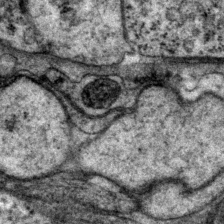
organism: P. pacificus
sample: Pharynx